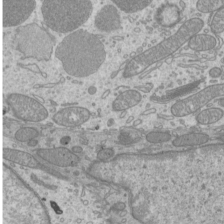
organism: Mouse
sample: Cilia; mouse epididymis